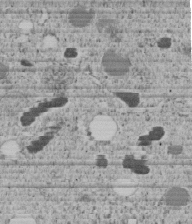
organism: C. elegans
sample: C. elegans embryo early stage